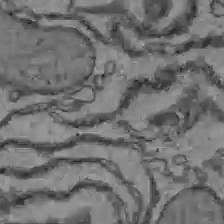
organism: C57BL Mouse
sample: Liver